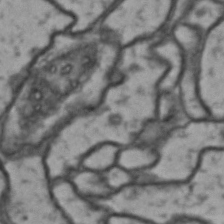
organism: Drosophila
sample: Brain